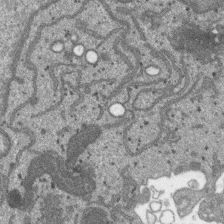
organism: Human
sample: Lung epithelial cells infected with SARS-CoV-2